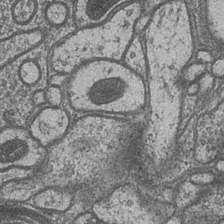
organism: Drosophila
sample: Optic medulla